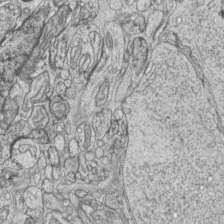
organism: Zebrafish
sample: synaptic ribbons in rod cells and cone cells